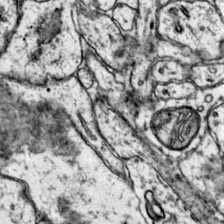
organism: Mouse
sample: Primary visual cortex